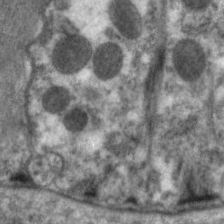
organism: C. elegans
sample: Pharynx